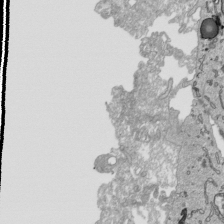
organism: Human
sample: Mitochondria in HCT116 cells